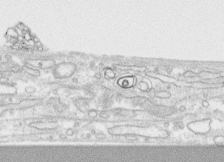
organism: Human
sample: CRL-1474